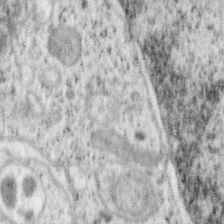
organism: Mouse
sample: OT-I killer T cells with ID8 ovarian cancer cells